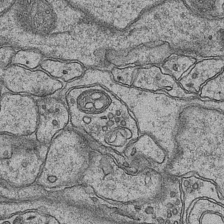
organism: Mouse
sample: CA1 Hippocampus